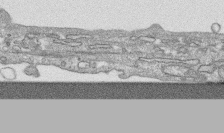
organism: Human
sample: CRL-1474